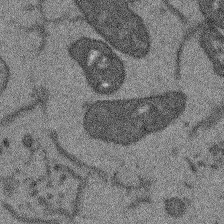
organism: Arabidopsis thaliana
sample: Root tip